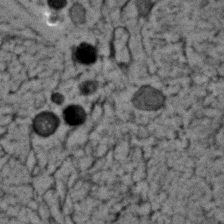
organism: Zebrafish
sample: Zebrafish embryo